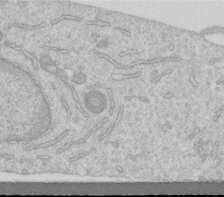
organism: Human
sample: Centriole in RPE cells